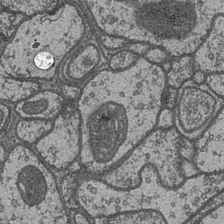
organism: Drosophila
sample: Optic medulla